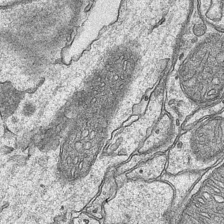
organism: Mouse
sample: CA1 Hippocampus